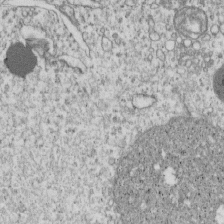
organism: Human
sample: MDA-MB-231 cells